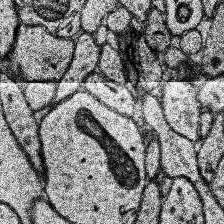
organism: Human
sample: Temporal Lobe